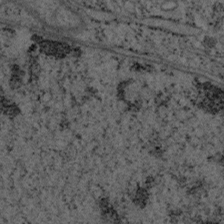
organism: Human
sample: HeLa cells